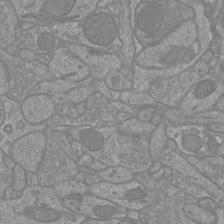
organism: Mouse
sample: Cortical neurons